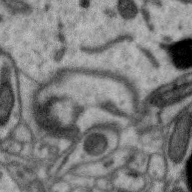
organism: Zebra finch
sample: Brain